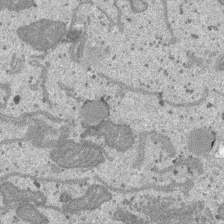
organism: Human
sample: Lung epithelial cells infected with SARS-CoV-2